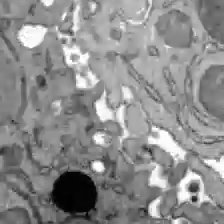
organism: C57BL Mouse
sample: Liver